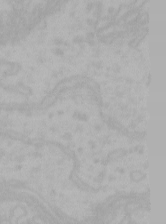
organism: Mouse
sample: Choroid plexus